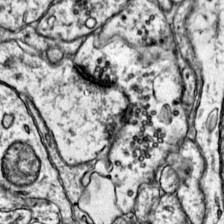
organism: Mouse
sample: Primary visual cortex